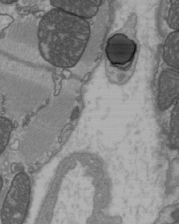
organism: C57BL Mouse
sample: Heart